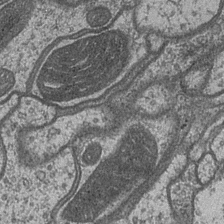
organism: Drosophila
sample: Optic medulla